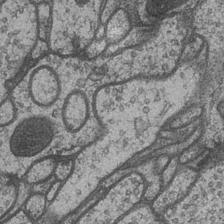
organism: Drosophila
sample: Optic medulla